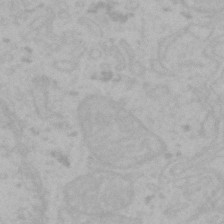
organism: Mouse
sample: Choroid plexus